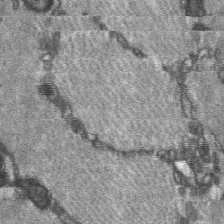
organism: C57BL Mouse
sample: Soleus